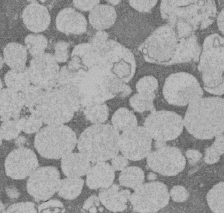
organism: Rat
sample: Salivary granule